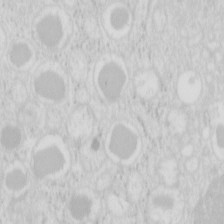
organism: Mouse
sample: Pancreas